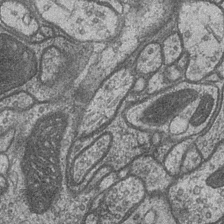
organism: Drosophila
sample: Optic medulla